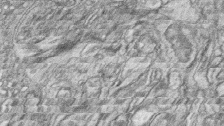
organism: Zebrafish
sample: synaptic ribbons in rod cells and cone cells